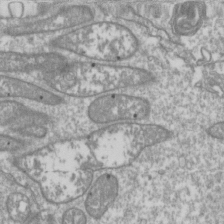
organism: Drosophila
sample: Cell division; meiosis; drosophila spermatocytes